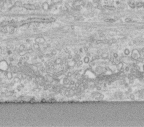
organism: Human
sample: Centriole in fibroblast cells